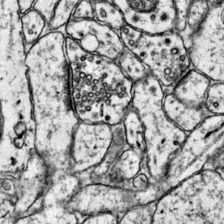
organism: Mouse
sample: Primary visual cortex